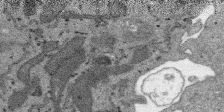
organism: Human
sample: Lung epithelial cells infected with SARS-CoV-2